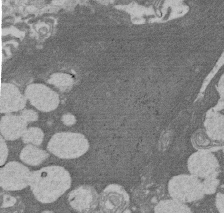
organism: Rat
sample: Salivary granule